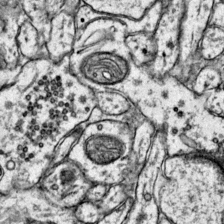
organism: Mouse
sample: Primary visual cortex